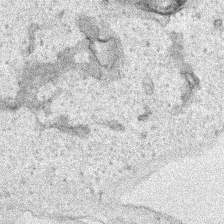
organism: Human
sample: Mitochondria in HCT116 cells